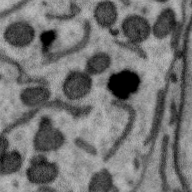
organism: Zebra finch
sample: Brain